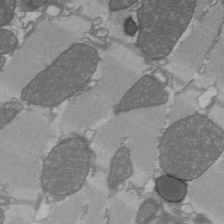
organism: C57BL Mouse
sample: Heart